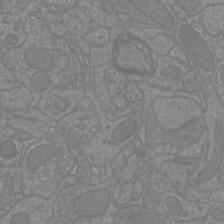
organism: Mouse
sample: Cortical neurons